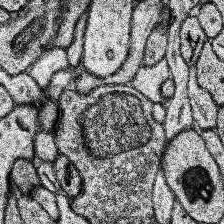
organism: Human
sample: Temporal Lobe